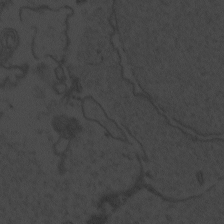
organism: Zebrafish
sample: Macrophage infected with Toxoplasma gondii